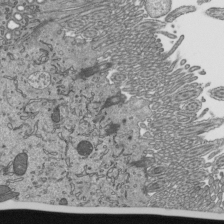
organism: Mouse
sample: Mouse epididymis efferent ductule cilia